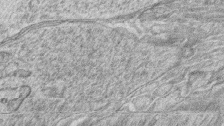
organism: Zebrafish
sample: synaptic ribbons in rod cells and cone cells